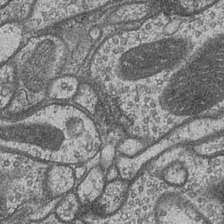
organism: Drosophila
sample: Optic medulla